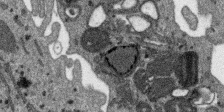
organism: Human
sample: Lung epithelial cells infected with SARS-CoV-2